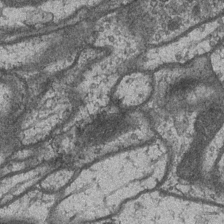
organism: Drosophila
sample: Optic medulla